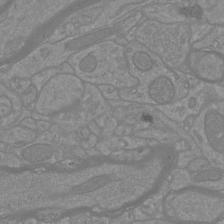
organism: Mouse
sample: Cortical neurons